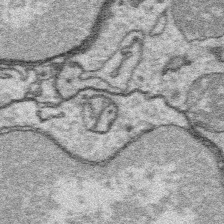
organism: Platynereis dumerilii